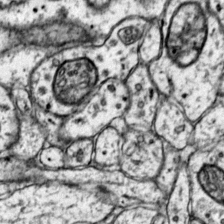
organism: Mouse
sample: Primary visual cortex